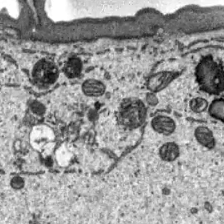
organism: Human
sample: HeLa cells